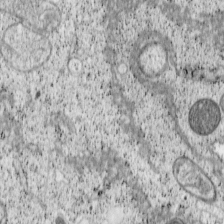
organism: African green monkey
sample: COS-7 cells